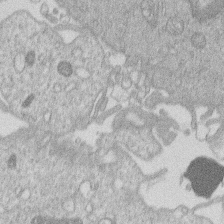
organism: Human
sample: Macrophage cells